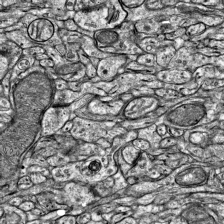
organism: Mouse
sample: Visual Cortex